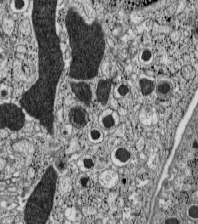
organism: C57BL Mouse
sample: Pancreatic islet